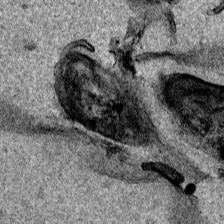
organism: Human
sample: Mitochondria in HCT116 cells